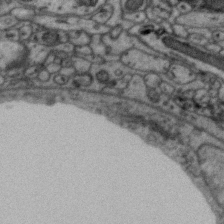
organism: Zebra finch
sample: Brain